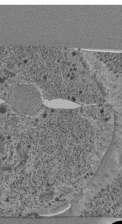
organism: C. elegans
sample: C. elegans pharynx